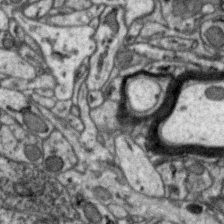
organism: Zebra finch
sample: Brain